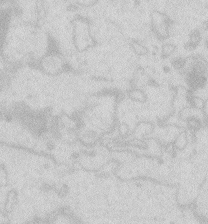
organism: Zebrafish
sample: Macrophage